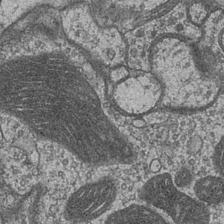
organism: Drosophila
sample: Optic medulla